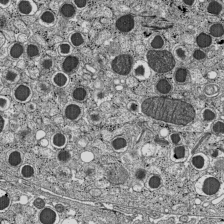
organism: C57BL Mouse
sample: Pancreatic islet